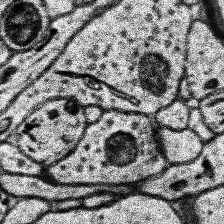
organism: Human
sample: Temporal Lobe